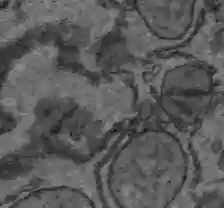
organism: C57BL Mouse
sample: Liver